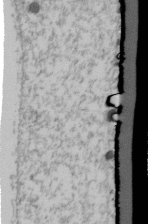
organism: Human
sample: U2-OS cells